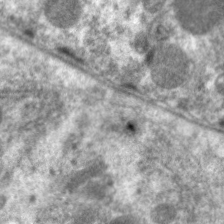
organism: C. elegans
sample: Pharynx